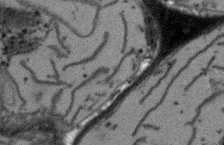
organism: Arabidopsis thaliana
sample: Root tip